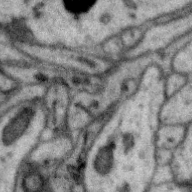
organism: Zebra finch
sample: Brain